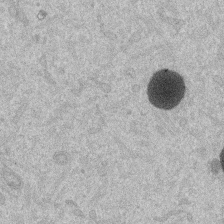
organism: Mouse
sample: Dividing mouse embryo 1 cell stage